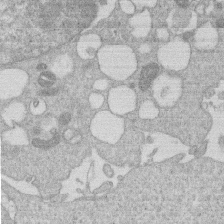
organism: Human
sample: Macrophage cells